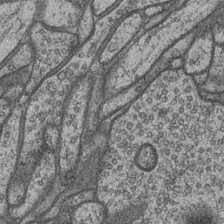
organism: Drosophila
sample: Optic medulla